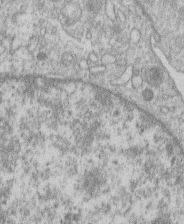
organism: Human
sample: Macrophage cells